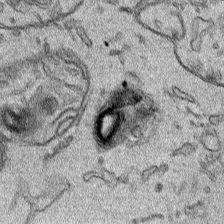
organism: Human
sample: Mitochondria in HCT116 cells